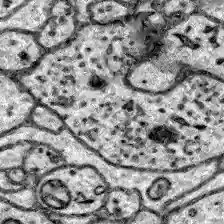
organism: Zebrafish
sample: Brain